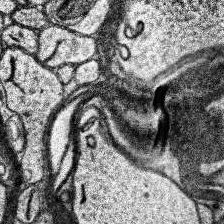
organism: Human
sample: Temporal Lobe